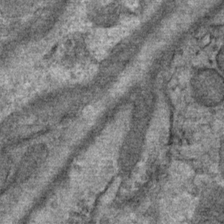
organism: Mouse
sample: Mouse Salivary gland